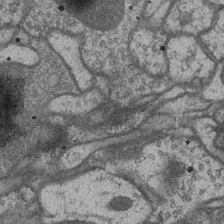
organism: Drosophila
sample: Optic medulla